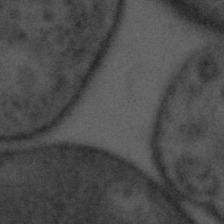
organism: Tuwongella immobilis